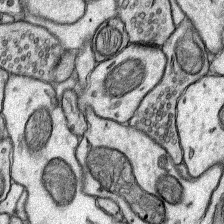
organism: Rat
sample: Hippocampus